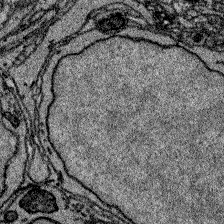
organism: Zebrafish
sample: Larval olfactory bulb